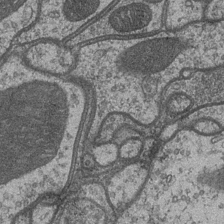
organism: Drosophila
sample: Optic medulla